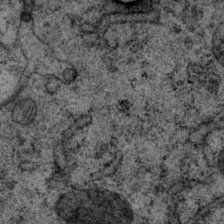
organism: P. pacificus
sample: Pharynx